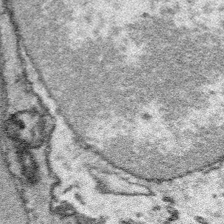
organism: Platynereis dumerilii